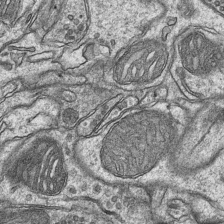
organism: Mouse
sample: CA1 Hippocampus